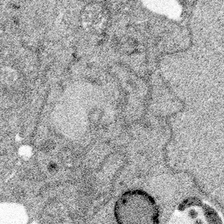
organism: Spongilla lacustris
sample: Multiple